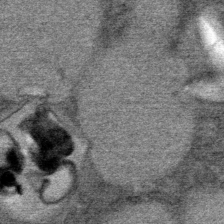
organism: Mouse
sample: Mouse Salivary gland